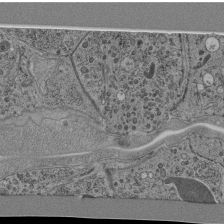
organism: C. elegans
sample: C. elegans pharynx